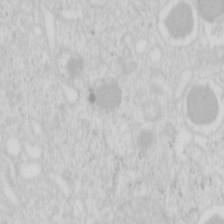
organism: Mouse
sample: Pancreas